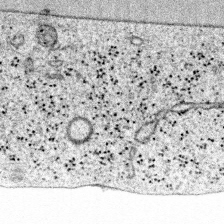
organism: Human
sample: HeLa cells